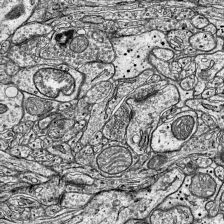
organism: Mouse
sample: Visual Cortex